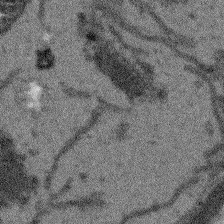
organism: Arabidopsis thaliana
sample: Root tip